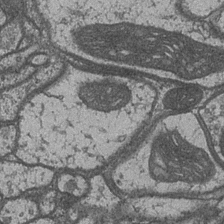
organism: Drosophila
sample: Optic medulla